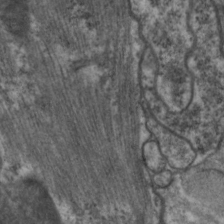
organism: C. elegans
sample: Pharynx